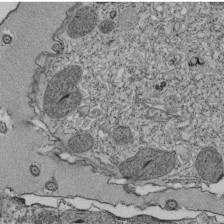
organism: Tetrahymena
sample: Cilia in tetrahymena